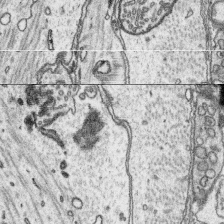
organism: Platynereis dumerilii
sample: Parapodia